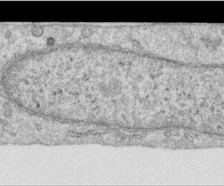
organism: Human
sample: Centriole in RPE cells